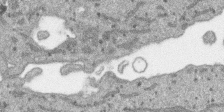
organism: Human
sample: Lung epithelial cells infected with SARS-CoV-2